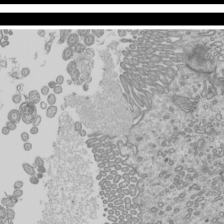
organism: Mouse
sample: Cilia; mouse epididymis